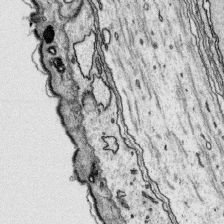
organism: Platynereis dumerilii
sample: Parapodia